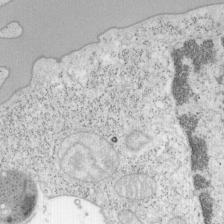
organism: Mouse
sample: OT-I killer T cells with ID8 ovarian cancer cells